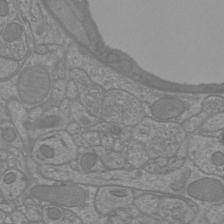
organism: Mouse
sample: Cortical neurons